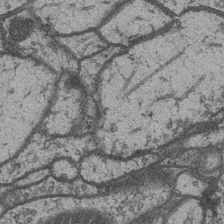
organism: Drosophila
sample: Optic medulla